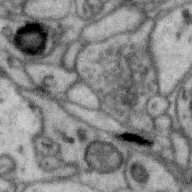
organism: Zebra finch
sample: Brain